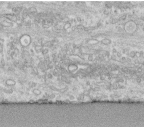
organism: Human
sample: Centriole in fibroblast cells